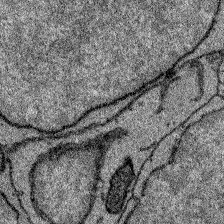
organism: Zebrafish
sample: Larval olfactory bulb